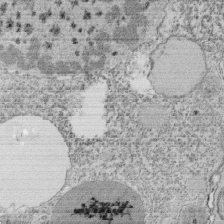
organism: Tetrahymena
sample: Cilia in tetrahymena